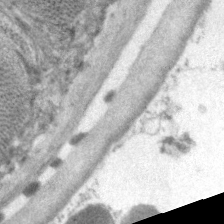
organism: C. elegans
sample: Pharynx